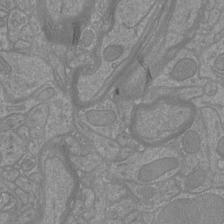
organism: Mouse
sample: Cortical neurons